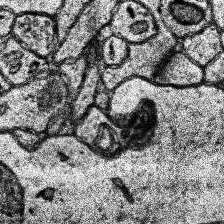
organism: Human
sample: Temporal Lobe